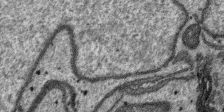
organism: Human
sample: Lung epithelial cells, uninfected (mock) control